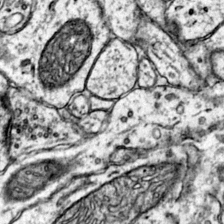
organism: Mouse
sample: Primary visual cortex